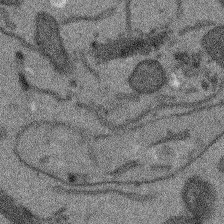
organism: Arabidopsis thaliana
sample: Root tip